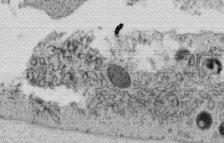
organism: C. elegans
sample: C. elegans oocyte; sperm cells